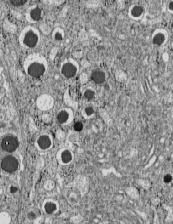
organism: C57BL Mouse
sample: Pancreatic islet